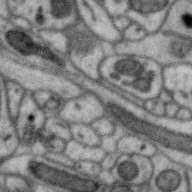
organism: Zebra finch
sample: Brain